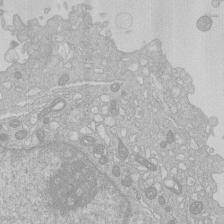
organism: Human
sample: Macrophage cells